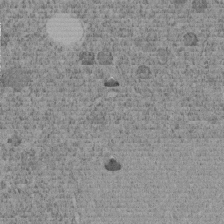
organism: C. elegans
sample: C. elegans embryo early stage